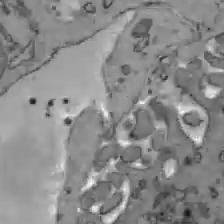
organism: C57BL Mouse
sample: Liver